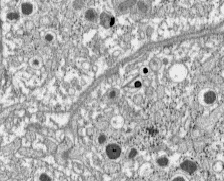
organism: C57BL Mouse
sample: Pancreatic islet